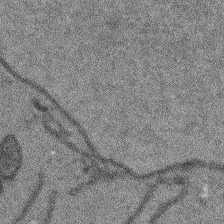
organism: Arabidopsis thaliana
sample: Root tip